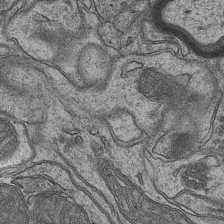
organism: Mouse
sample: CA1 Hippocampus